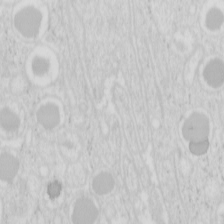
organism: Mouse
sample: Pancreas